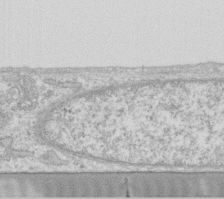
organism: Human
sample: Fibroblast cells